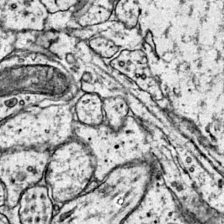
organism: Mouse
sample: Primary visual cortex